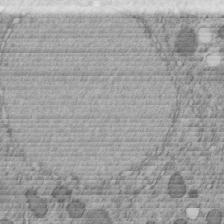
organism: C. elegans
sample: C. elegans embryo early stage